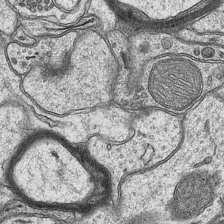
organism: Mouse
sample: CA1 Hippocampus